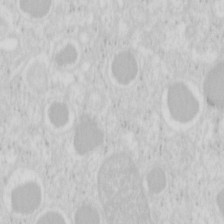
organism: Mouse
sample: Pancreas